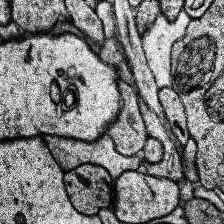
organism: Human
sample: Temporal Lobe